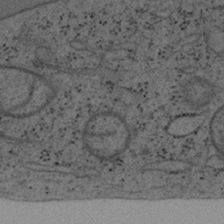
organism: Human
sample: HeLa cells